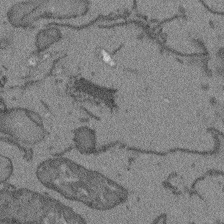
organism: Arabidopsis thaliana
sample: Root tip